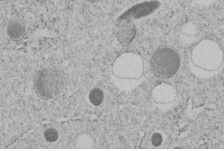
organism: C. elegans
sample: C. elegans embryo early stage